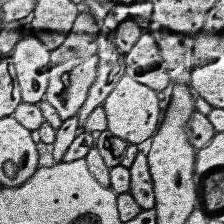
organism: Human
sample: Temporal Lobe